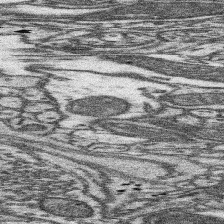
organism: Mouse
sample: Somatosensory cortex neuropil